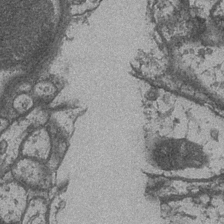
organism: Drosophila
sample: Optic medulla